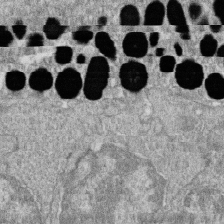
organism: Zebrafish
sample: Cilia; retinal pigment epithelium